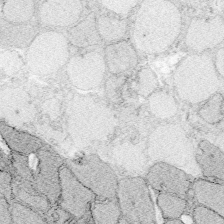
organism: Zebrafish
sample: Whole-Brain